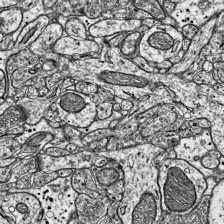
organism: Mouse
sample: Visual Cortex